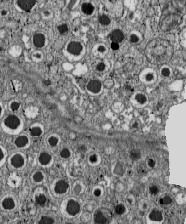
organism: C57BL Mouse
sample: Pancreatic islet